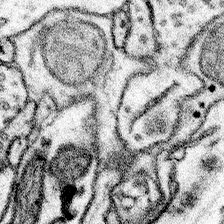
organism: Mouse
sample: Somatosensory cortex neuropil